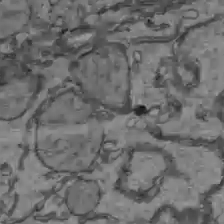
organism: C57BL Mouse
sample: Liver